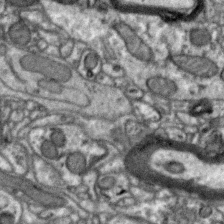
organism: Zebra finch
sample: Brain